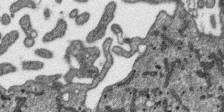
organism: Human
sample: Lung epithelial cells infected with SARS-CoV-2